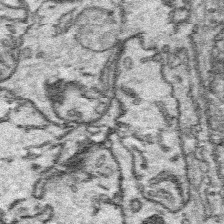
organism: Platynereis dumerilii